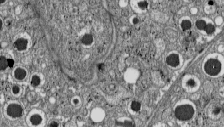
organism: C57BL Mouse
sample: Pancreatic islet